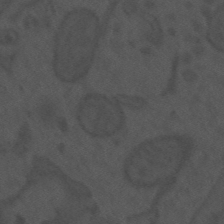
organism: Mouse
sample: Suprachiasmatic nucleus